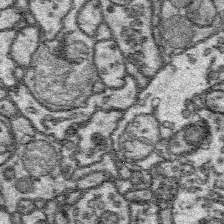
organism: Platynereis dumerilii